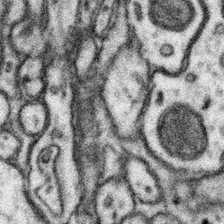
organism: Mouse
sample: Somatosensory cortex neuropil